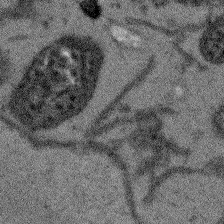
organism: Arabidopsis thaliana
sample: Root tip